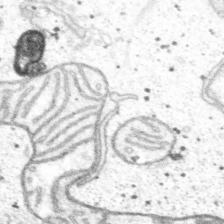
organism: Human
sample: HeLa cells